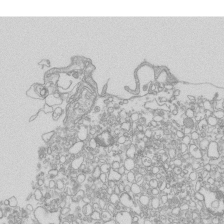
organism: Mouse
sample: Macrophages